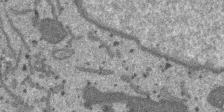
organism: Human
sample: Lung epithelial cells infected with SARS-CoV-2